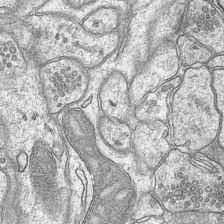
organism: Mouse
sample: CA1 Hippocampus